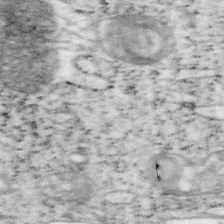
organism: Mouse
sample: OT-I killer T cells with ID8 ovarian cancer cells